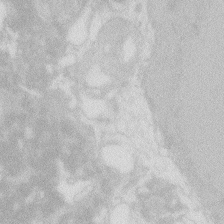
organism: Zebrafish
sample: Macrophage